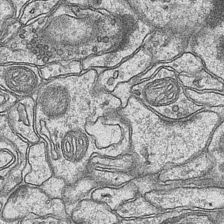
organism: Mouse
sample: CA1 Hippocampus